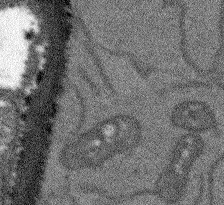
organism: Arabidopsis thaliana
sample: Root tip